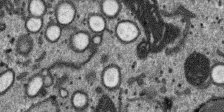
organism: Human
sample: Lung epithelial cells infected with SARS-CoV-2